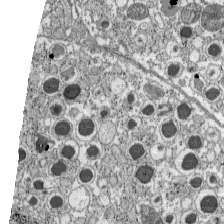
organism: C57BL Mouse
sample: Pancreatic islet